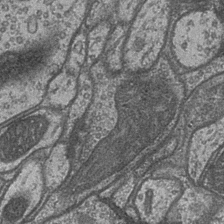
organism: Drosophila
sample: Optic medulla